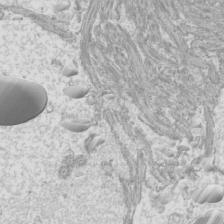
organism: Mouse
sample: Cilia; mouse epididymis